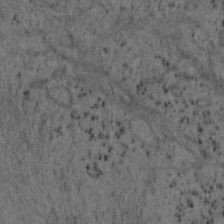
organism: Human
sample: HeLa cells